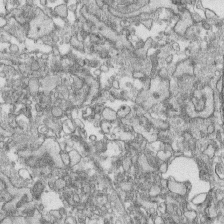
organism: Human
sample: CRL-1474